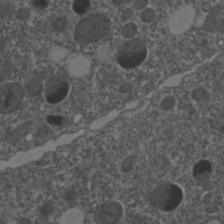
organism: C. elegans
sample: C. elegans embryo